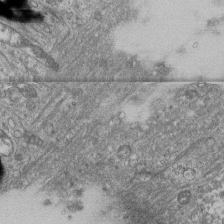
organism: Human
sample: Fibroblast cells